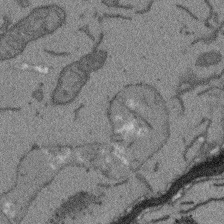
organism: Arabidopsis thaliana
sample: Root tip